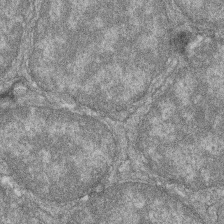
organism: Zebrafish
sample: Cilia; retinal pigment epithelium